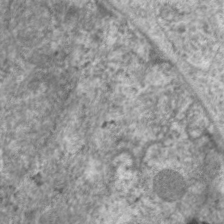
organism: C. elegans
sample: Pharynx